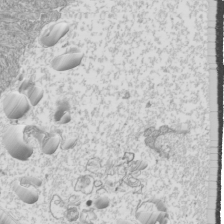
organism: Mouse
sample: Cilia; mouse epididymis